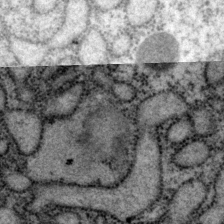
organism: P. pacificus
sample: Pharynx